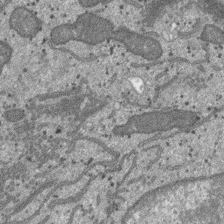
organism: Human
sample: Lung epithelial cells infected with SARS-CoV-2